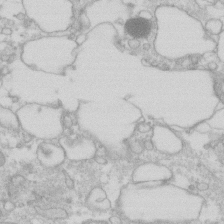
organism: Human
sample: Fibroblast cells